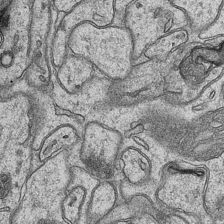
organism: Mouse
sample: CA1 Hippocampus